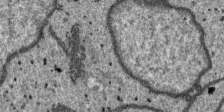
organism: Human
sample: Lung epithelial cells, uninfected (mock) control